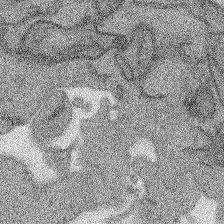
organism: Human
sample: HeLa cells